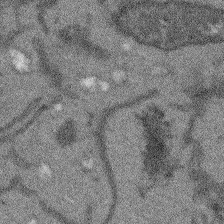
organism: Arabidopsis thaliana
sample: Root tip